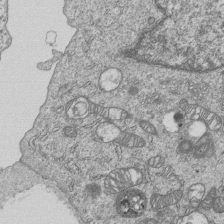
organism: Human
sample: MDA-MB-231 cells